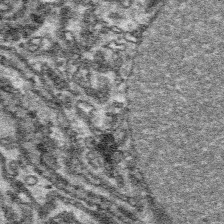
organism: Platynereis dumerilii